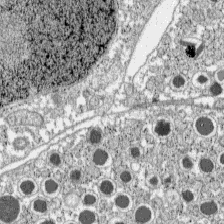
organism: C57BL Mouse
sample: Pancreatic islet